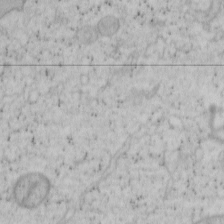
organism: Human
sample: HeLa cells